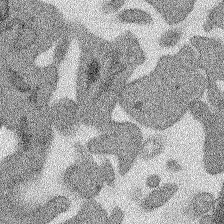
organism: Human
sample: HeLa cells